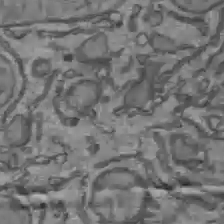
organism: C57BL Mouse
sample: Liver